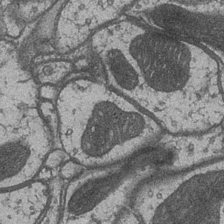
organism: Drosophila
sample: Optic medulla